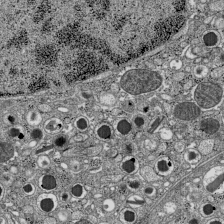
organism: C57BL Mouse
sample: Pancreatic islet